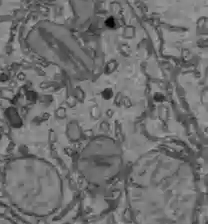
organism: C57BL Mouse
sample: Liver